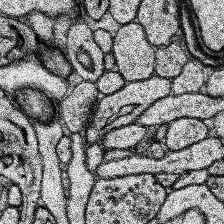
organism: Human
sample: Temporal Lobe